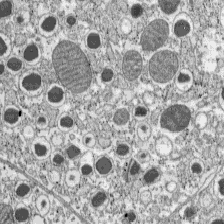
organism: C57BL Mouse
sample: Pancreatic islet